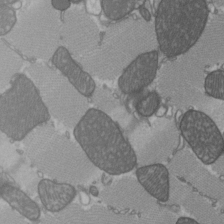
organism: C57BL Mouse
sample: Heart